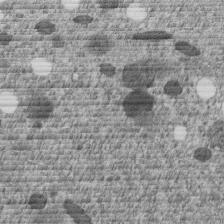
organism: C. elegans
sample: C. elegans embryo early stage